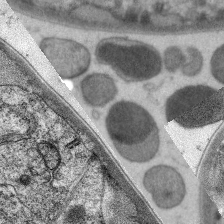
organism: C. elegans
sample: Pharynx